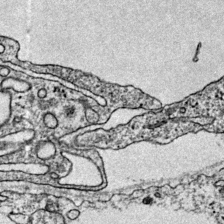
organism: Mouse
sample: Primary visual cortex